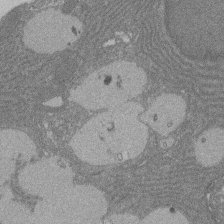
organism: Rat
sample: Salivary granule